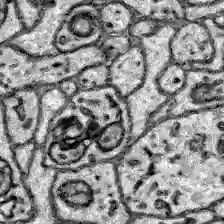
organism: Zebrafish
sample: Brain